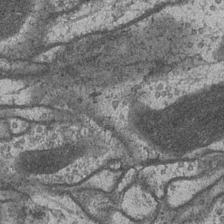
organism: Drosophila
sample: Optic medulla